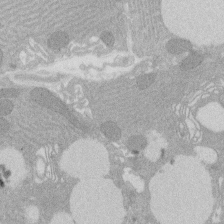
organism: Rat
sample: Salivary granule